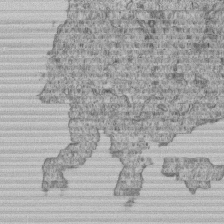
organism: Human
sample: MDA-MB-231 cells